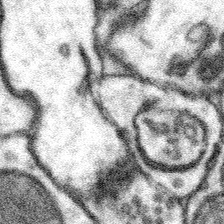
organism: Mouse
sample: Somatosensory cortex neuropil